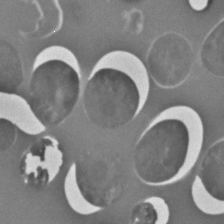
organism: C. elegans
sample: C. elegans embryo